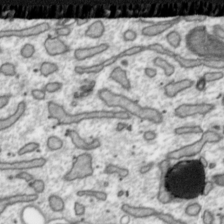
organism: Toxoplasma gondii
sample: Parasites in a vacuole inside a host cell